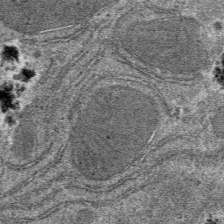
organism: Mouse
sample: Mouse hepatocytes